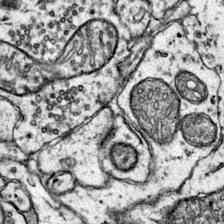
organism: Mouse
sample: Primary visual cortex